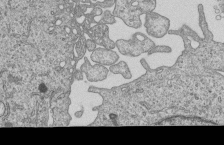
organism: Human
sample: MDA-MB-231 cells